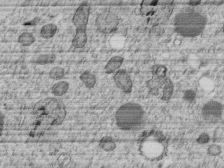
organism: C. elegans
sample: C. elegans embryo early stage